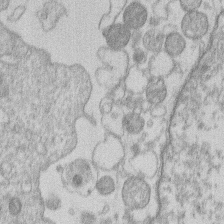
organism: Human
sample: Macrophage cells